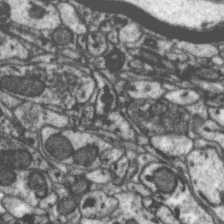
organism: Zebra finch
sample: Brain